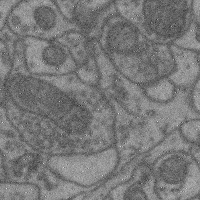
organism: Mouse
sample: Cerebral cortex